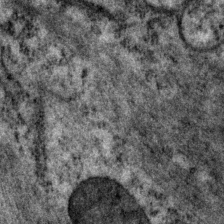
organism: P. pacificus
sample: Pharynx